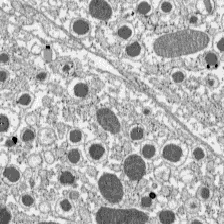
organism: C57BL Mouse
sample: Pancreatic islet